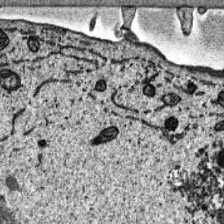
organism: Human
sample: HeLa cells